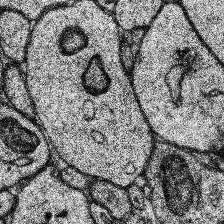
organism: Human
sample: Temporal Lobe